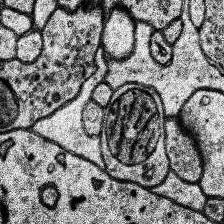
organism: Human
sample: Temporal Lobe